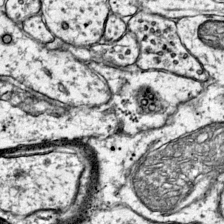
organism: Mouse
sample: Primary visual cortex